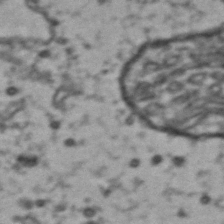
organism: Drosophila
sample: Brain